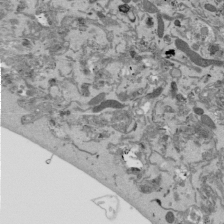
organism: Mouse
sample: ED-1 cell nuclei; centrioles